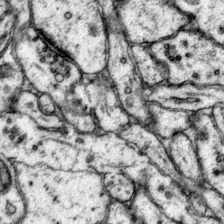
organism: Mouse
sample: Primary visual cortex